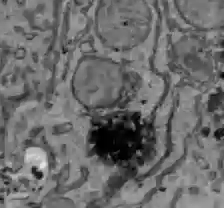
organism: C57BL Mouse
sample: Liver